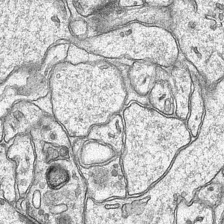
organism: Mouse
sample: CA1 Hippocampus